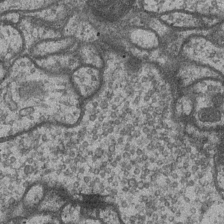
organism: Drosophila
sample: Optic medulla